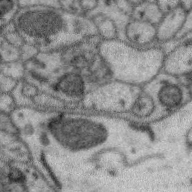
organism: Zebra finch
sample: Brain